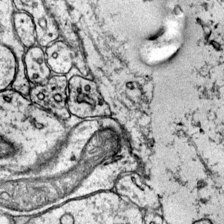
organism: Mouse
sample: Primary visual cortex